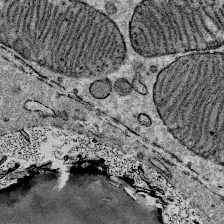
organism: Mouse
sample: Mouse Salivary gland